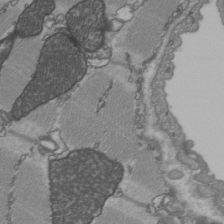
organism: C57BL Mouse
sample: Heart